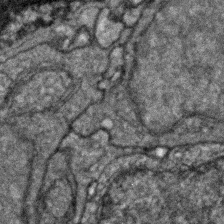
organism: Zebrafish